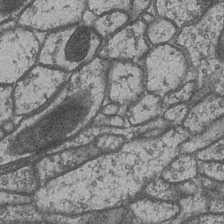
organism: Drosophila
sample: Optic medulla